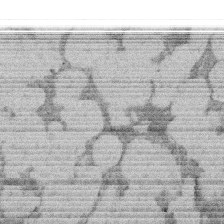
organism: Rat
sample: Salivary granule